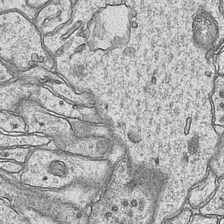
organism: Mouse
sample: CA1 Hippocampus